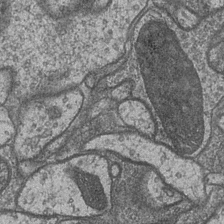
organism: Drosophila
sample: Optic medulla